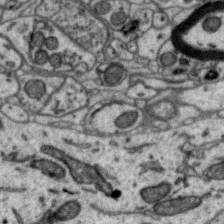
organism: Zebra finch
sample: Brain